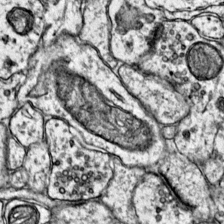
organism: Mouse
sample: Primary visual cortex